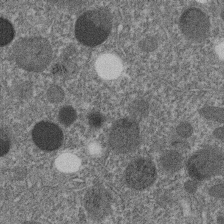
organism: C. elegans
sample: C. elegans embryo early stage